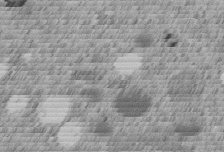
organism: C. elegans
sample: C. elegans embryo early stage